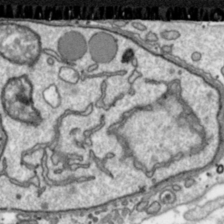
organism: Toxoplasma gondii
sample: Parasites in a vacuole inside a host cell